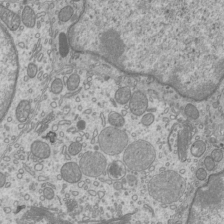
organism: Mouse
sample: Cilia; mouse epididymis